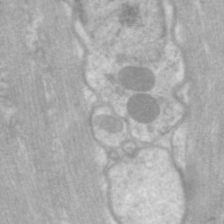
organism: C. elegans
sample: Pharynx